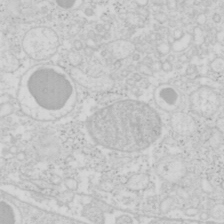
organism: Mouse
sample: Pancreas